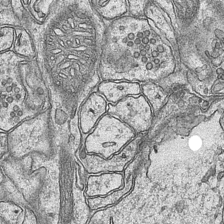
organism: Mouse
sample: CA1 Hippocampus